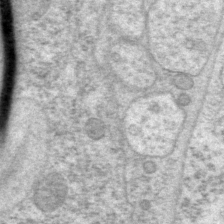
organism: P. pacificus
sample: Pharynx